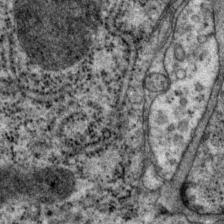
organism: P. pacificus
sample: Pharynx